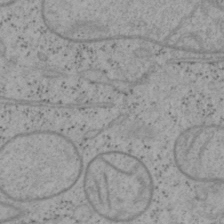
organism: Human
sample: HeLa cells